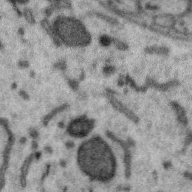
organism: Zebra finch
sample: Brain